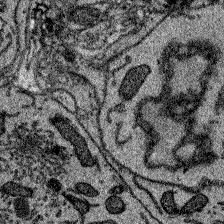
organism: Zebrafish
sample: Larval olfactory bulb